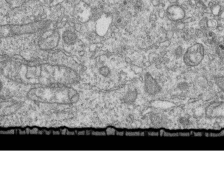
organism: Human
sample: HeLa cell HIV synapse